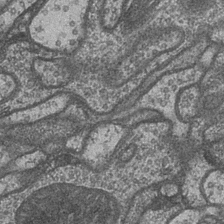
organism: Drosophila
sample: Optic medulla